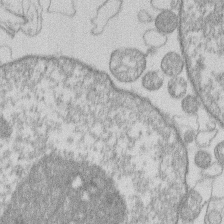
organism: Human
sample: Macrophage cells